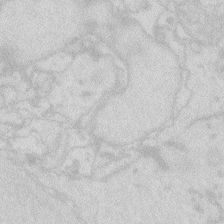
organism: Zebrafish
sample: Macrophage